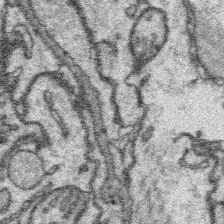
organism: Platynereis dumerilii